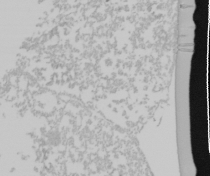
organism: Mouse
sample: Cancer cell death in ED-1 cells